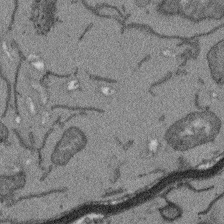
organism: Arabidopsis thaliana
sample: Root tip